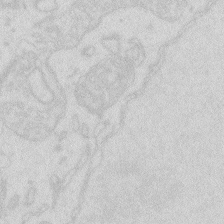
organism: Zebrafish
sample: Macrophage